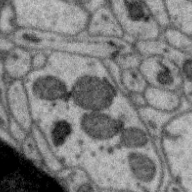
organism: Zebra finch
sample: Brain